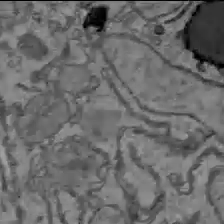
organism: C57BL Mouse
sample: Liver